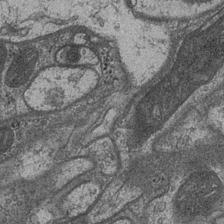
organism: Drosophila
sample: Optic medulla